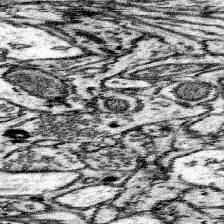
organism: Mouse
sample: Somatosensory cortex neuropil